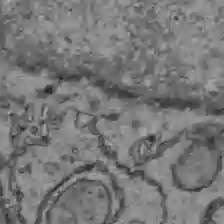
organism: C57BL Mouse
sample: Liver